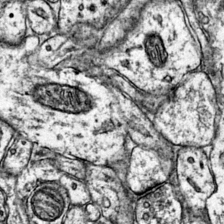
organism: Mouse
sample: Primary visual cortex